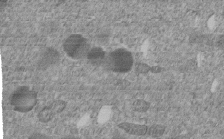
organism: C. elegans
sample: C. elegans embryo early stage